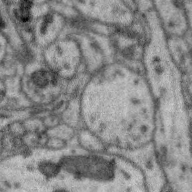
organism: Zebra finch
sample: Brain